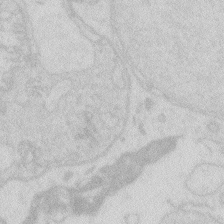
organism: Zebrafish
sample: Macrophage